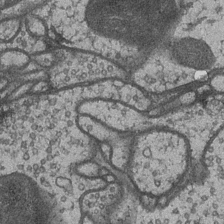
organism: Drosophila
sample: Optic medulla